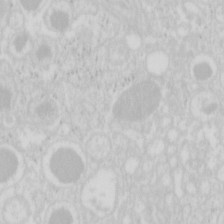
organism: Mouse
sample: Pancreas